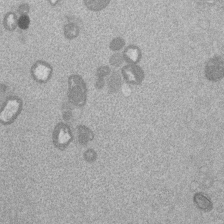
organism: Mouse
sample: Dividing mouse embryo 1 cell stage